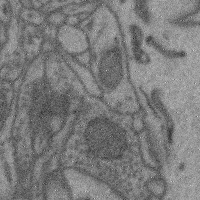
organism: Mouse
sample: Cerebral cortex